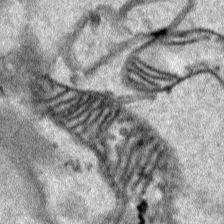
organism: Human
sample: Mitochondria in HCT116 cells